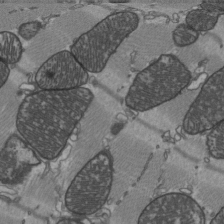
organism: C57BL Mouse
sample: Heart